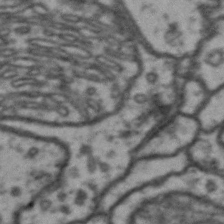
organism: Drosophila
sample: Brain